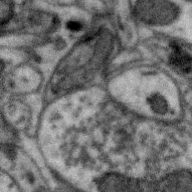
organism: Zebra finch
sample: Brain